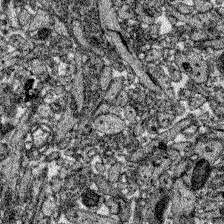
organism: Zebrafish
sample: Larval olfactory bulb